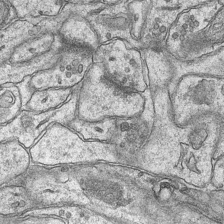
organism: Mouse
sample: CA1 Hippocampus